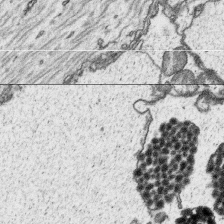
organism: Platynereis dumerilii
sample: Parapodia